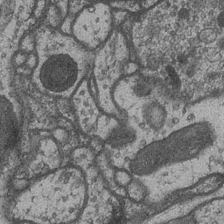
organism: Drosophila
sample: Optic medulla